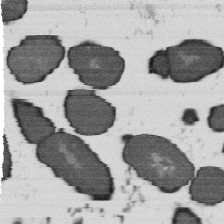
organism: B. subtilis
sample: Bacterial spore